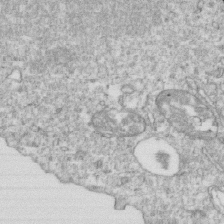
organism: Mouse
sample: Activated OT-1 CD8+ T cells